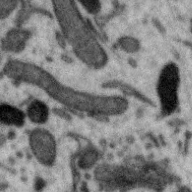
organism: Zebra finch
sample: Brain